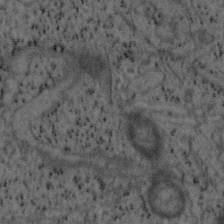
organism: Human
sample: HeLa cells